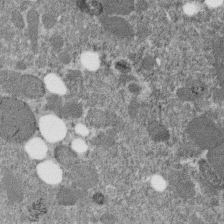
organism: C. elegans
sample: C. elegans embryo early stage